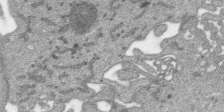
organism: Human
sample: Lung epithelial cells infected with SARS-CoV-2